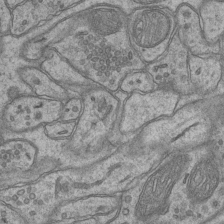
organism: Mouse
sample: CA1 Hippocampus